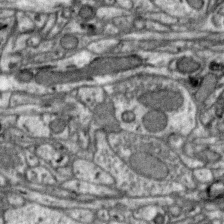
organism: Zebra finch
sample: Brain